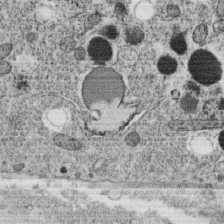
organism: C. elegans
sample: C. elegans oocyte; sperm cells